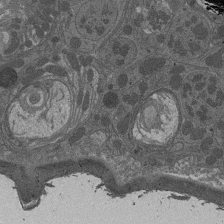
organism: Drosophila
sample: Antenna